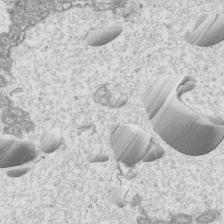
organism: Mouse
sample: Cilia; mouse epididymis